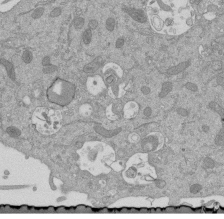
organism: Mouse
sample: ED-1 cell nuclei; centrioles